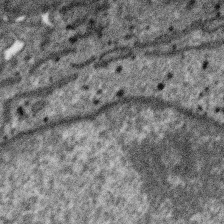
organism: Human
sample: Lung epithelial cells infected with SARS-CoV-2